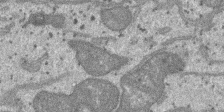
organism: Human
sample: Lung epithelial cells infected with SARS-CoV-2